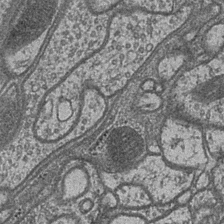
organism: Drosophila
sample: Optic medulla